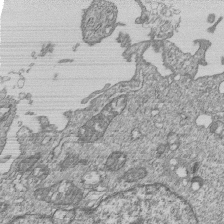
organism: Human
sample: MDA-MB-231 cells